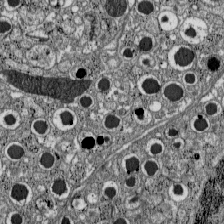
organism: C57BL Mouse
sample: Pancreatic islet